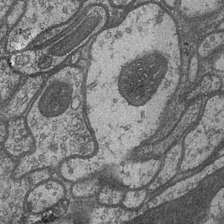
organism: Drosophila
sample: Optic medulla